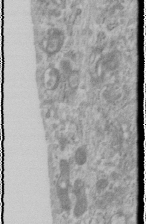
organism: Human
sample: Cilia; basal body in RPE cells